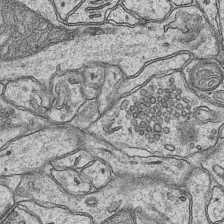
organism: Mouse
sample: CA1 Hippocampus